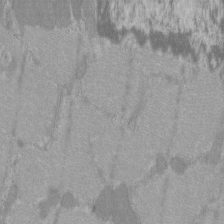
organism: C57BL Mouse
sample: Tibialis anterior muscle cell